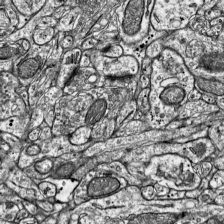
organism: Mouse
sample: Visual Cortex